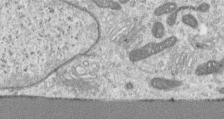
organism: Human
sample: Centriole in RPE cells